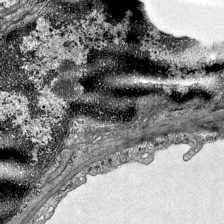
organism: Mouse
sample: Visual Cortex